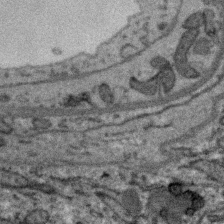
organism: Zebra finch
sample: Brain